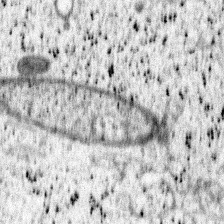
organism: Human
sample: HeLa cells